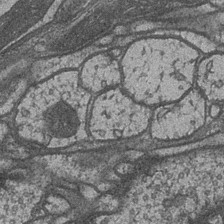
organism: Drosophila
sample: Optic medulla